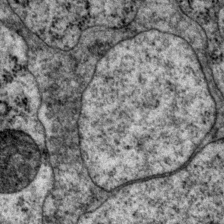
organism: P. pacificus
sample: Pharynx